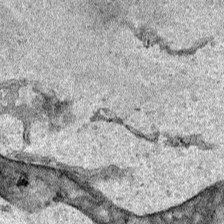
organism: Human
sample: Mitochondria in HCT116 cells